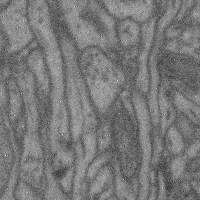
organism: Mouse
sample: Cerebral cortex